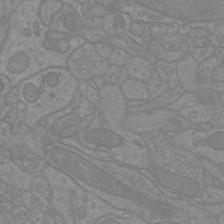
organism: Mouse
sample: Cortical neurons